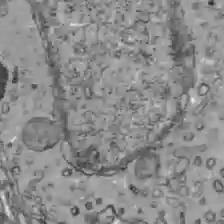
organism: C57BL Mouse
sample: Liver